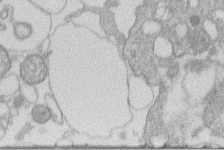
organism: Human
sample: Macrophage cells